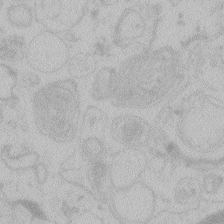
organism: Zebrafish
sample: Macrophage infected with Toxoplasma gondii